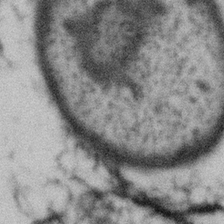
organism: Gemmata obscuriglobus